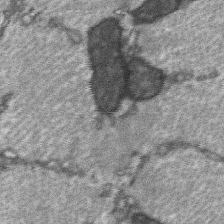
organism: C57BL Mouse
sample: Soleus